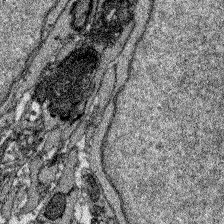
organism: Zebrafish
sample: Larval olfactory bulb